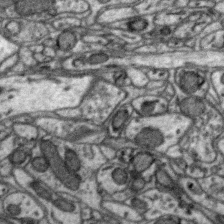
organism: Zebra finch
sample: Brain